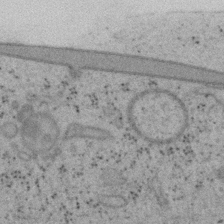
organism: Human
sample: HeLa cells